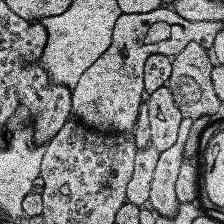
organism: Human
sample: Temporal Lobe